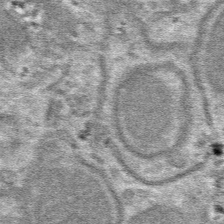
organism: Mouse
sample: Mouse hepatocytes